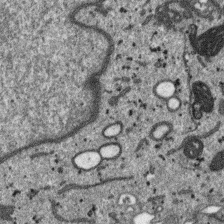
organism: Human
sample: Lung epithelial cells infected with SARS-CoV-2